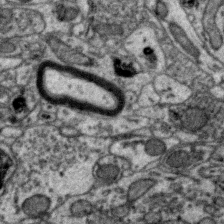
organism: Zebra finch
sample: Brain